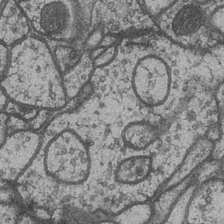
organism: Drosophila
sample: Optic medulla